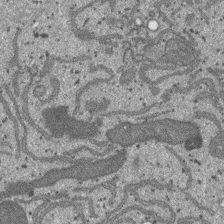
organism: Human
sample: Lung epithelial cells infected with SARS-CoV-2